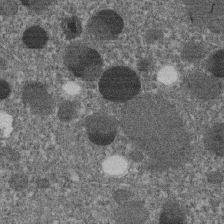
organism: C. elegans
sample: C. elegans embryo early stage